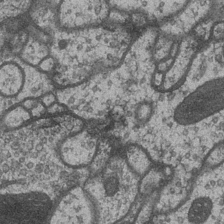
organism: Drosophila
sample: Optic medulla